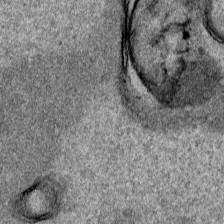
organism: Human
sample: Mitochondria in HCT116 cells